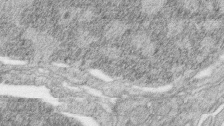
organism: Zebrafish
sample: synaptic ribbons in rod cells and cone cells